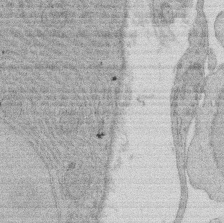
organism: Rat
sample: Salivary granule